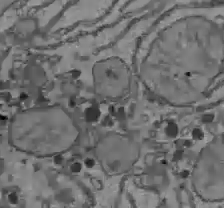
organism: C57BL Mouse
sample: Liver